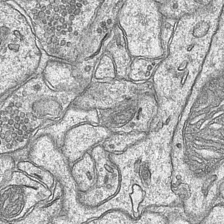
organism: Mouse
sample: CA1 Hippocampus